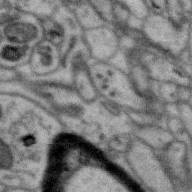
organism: Zebra finch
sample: Brain